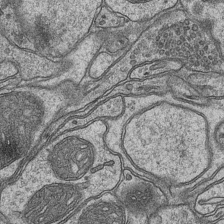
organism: Mouse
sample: CA1 Hippocampus